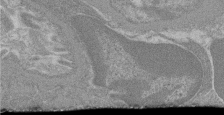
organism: Mouse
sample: Glomerulus